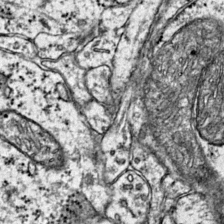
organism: Mouse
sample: Primary visual cortex